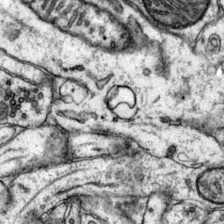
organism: Mouse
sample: Primary visual cortex